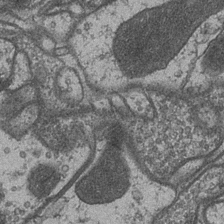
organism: Drosophila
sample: Optic medulla